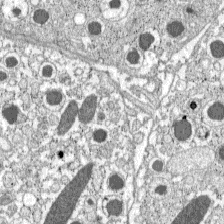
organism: C57BL Mouse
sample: Pancreatic islet